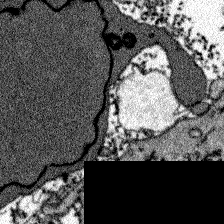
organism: Zebrafish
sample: Larval olfactory bulb